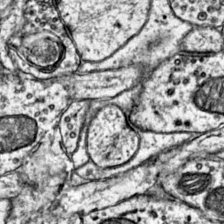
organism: Mouse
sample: Primary visual cortex